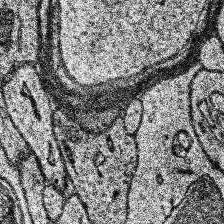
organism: Human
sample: Temporal Lobe